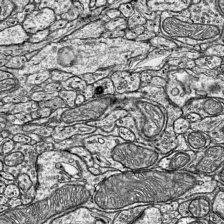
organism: Mouse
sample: Visual Cortex